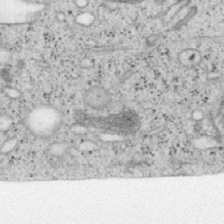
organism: Mouse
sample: OT-I killer T cells with ID8 ovarian cancer cells